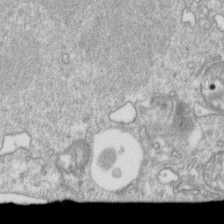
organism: Mouse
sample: Activated OT-1 CD8+ T cells